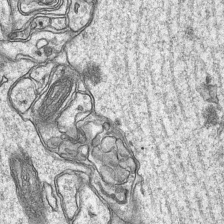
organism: Mouse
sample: CA1 Hippocampus